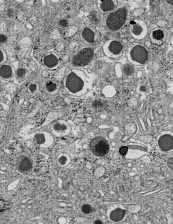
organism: C57BL Mouse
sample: Pancreatic islet